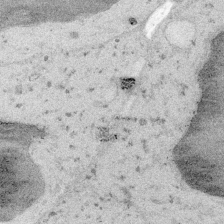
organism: Embia sp.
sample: Silk gland